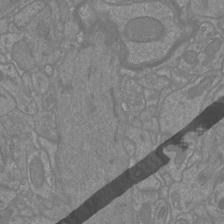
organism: Mouse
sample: Cortical neurons